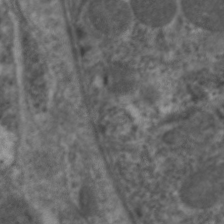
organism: C. elegans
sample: Pharynx